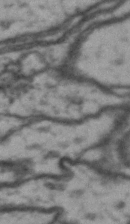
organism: Drosophila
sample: Brain